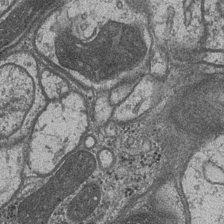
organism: Drosophila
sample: Optic medulla